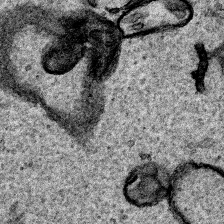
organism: Human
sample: Mitochondria in HCT116 cells